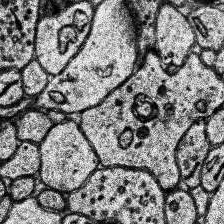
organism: Human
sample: Temporal Lobe